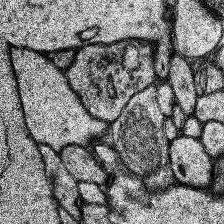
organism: Human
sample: Temporal Lobe